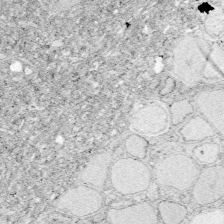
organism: Zebrafish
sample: Whole-Brain